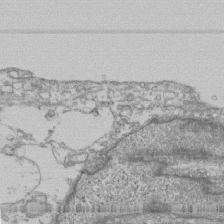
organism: Human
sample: Fibroblast cells